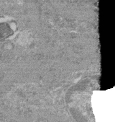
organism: Mouse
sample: Glomerulus